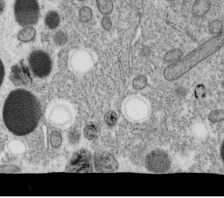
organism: C. elegans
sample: C. elegans oocyte; sperm cells